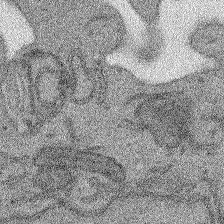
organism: Human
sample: HeLa cells